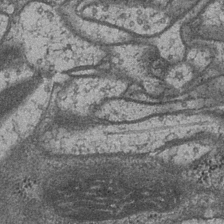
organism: Drosophila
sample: Optic medulla